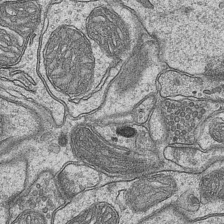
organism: Mouse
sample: CA1 Hippocampus